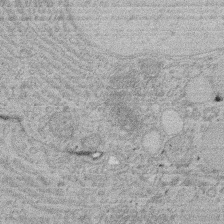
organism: Rat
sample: Salivary granule